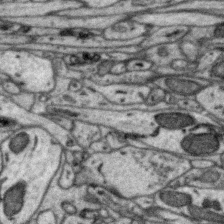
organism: Zebra finch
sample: Brain